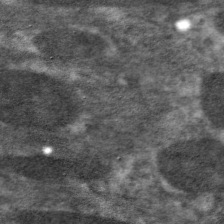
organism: C. elegans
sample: Pharynx